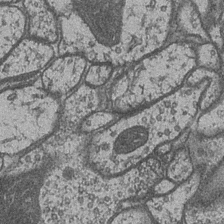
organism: Drosophila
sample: Optic medulla